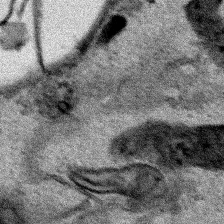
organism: Human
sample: Mitochondria in HCT116 cells